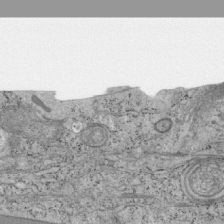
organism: Human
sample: HeLa cells